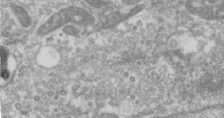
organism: Human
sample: Centriole in RPE cells